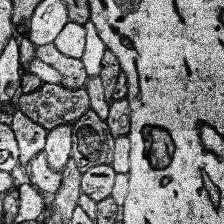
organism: Human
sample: Temporal Lobe